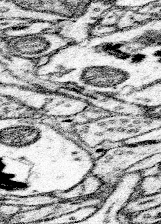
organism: Mouse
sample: Somatosensory cortex neuropil